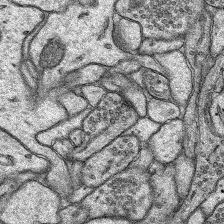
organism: Rat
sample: Hippocampus